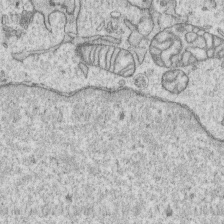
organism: Human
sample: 1205lu cells